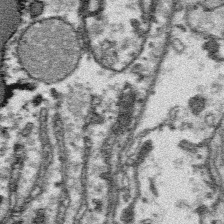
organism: Platynereis dumerilii